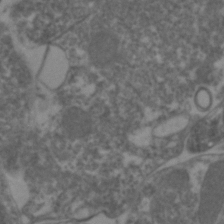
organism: Zebrafish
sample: Zebrafish embryo